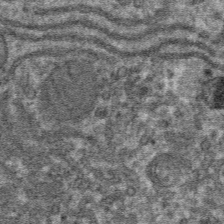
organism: Mouse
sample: Mouse hepatocytes